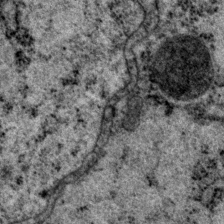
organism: P. pacificus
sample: Pharynx